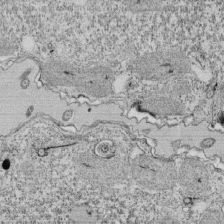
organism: Tetrahymena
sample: Cilia in tetrahymena